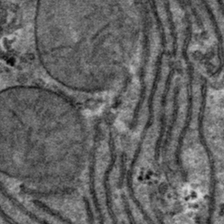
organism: Mouse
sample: Mouse hepatocytes